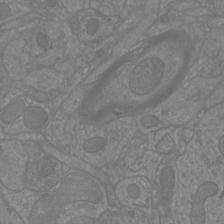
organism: Mouse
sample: Cortical neurons